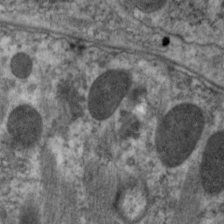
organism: C. elegans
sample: Pharynx